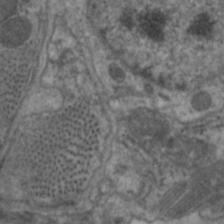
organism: C. elegans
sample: Pharynx